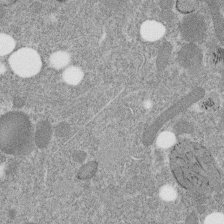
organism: C. elegans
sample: C. elegans embryo early stage